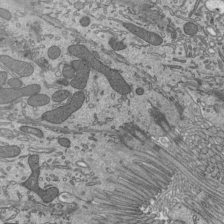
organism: Mouse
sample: Mouse epididymis efferent ductule cilia